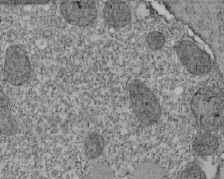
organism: Tetrahymena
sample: Cilia in tetrahymena